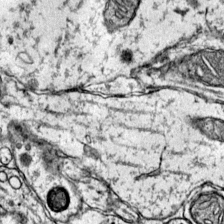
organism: Mouse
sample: Primary visual cortex